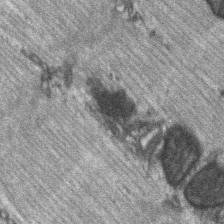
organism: C57BL Mouse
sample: Soleus